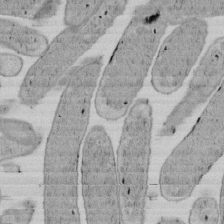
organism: E. coli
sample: Bacterial nucleoid